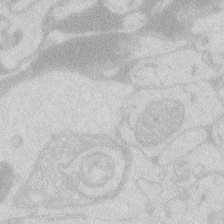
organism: Zebrafish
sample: Macrophage